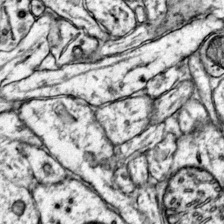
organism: Mouse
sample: Primary visual cortex